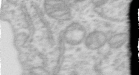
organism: Human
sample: Centriole in RPE cells